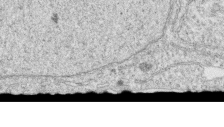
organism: Human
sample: HeLa cell HIV synapse